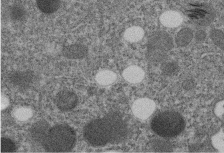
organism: C. elegans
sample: C. elegans embryo early stage